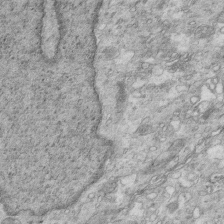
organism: Mouse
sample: Multiciliated cells